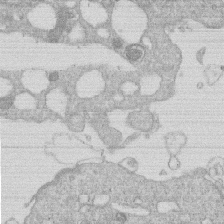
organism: Human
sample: Macrophage cells